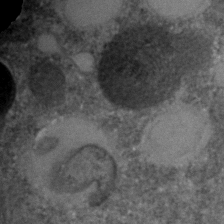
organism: C. elegans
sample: C. elegans embryo